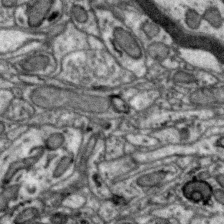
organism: Zebra finch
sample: Brain